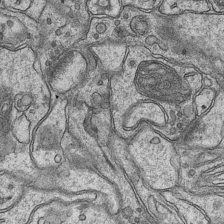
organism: Mouse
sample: CA1 Hippocampus